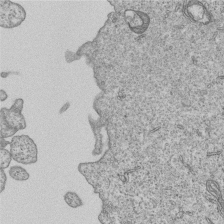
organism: Human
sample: MDA-MB-231 cells